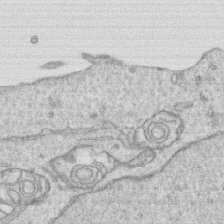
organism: Human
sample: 1205lu cells